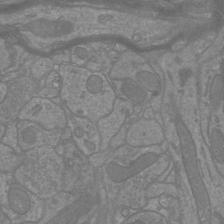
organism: Mouse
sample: Cortical neurons